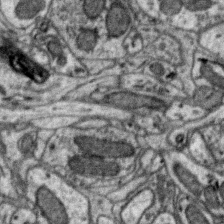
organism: Zebra finch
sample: Brain